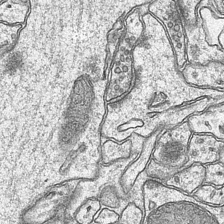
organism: Mouse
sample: CA1 Hippocampus